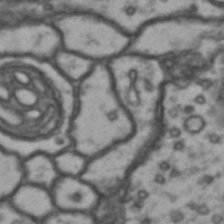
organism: Drosophila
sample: Brain